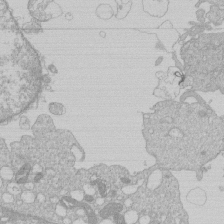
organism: Human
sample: Macrophage cells